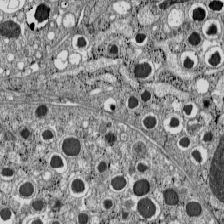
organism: C57BL Mouse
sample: Pancreatic islet